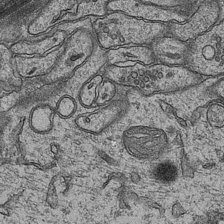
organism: Mouse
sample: CA1 Hippocampus